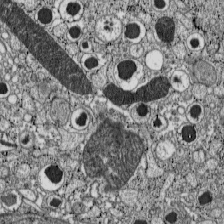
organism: C57BL Mouse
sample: Pancreatic islet